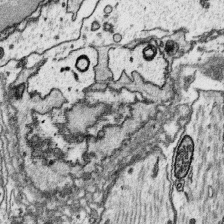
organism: Platynereis dumerilii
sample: Parapodia